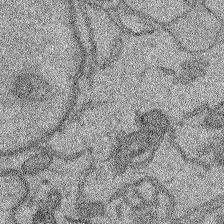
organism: Human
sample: HeLa cells